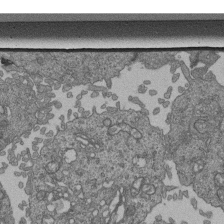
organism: Human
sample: Retinal organoid Rod and Cone cells